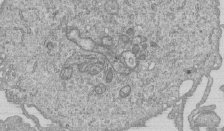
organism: Human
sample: MDA-MB-231 cells